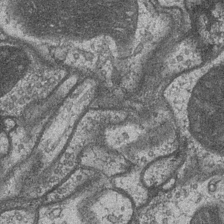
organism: Drosophila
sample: Optic medulla